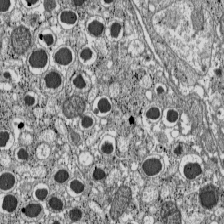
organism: C57BL Mouse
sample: Pancreatic islet